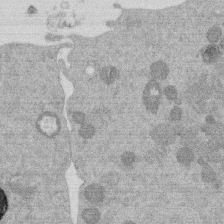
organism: Mouse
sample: Dividing mouse embryo 1 cell stage